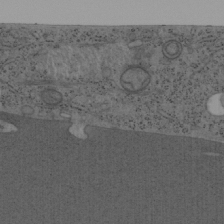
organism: Human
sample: HeLa cells